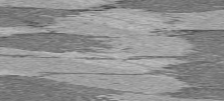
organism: C57BL Mouse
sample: Heart